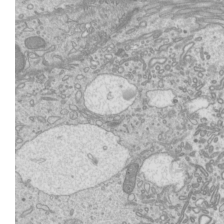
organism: Mouse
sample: Cilia; mouse epididymis